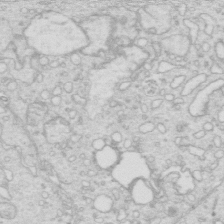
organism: Mouse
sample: Multiciliated cells